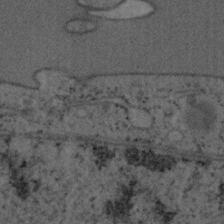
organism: Human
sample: HeLa cells